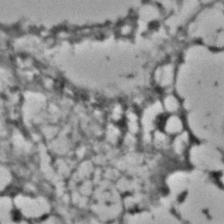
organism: C. elegans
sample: C. elegans embryo